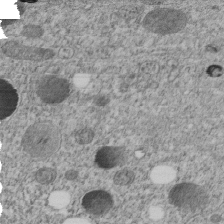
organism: C. elegans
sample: C. elegans embryo early stage